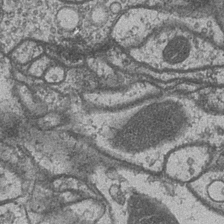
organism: Drosophila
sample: Optic medulla